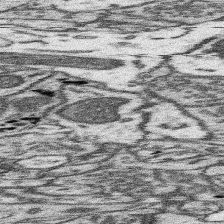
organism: Mouse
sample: Somatosensory cortex neuropil